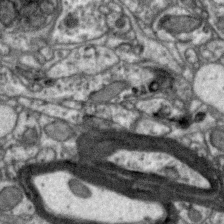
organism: Zebra finch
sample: Brain